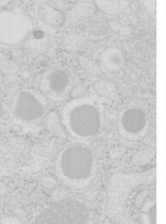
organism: Mouse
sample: Pancreas